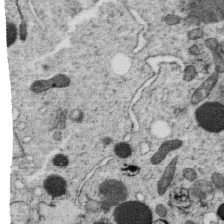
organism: C. elegans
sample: C. elegans oocyte; sperm cells